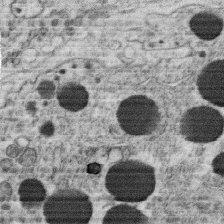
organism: C. elegans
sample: C. elegans oocyte; sperm cells